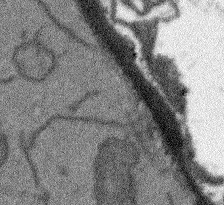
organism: Arabidopsis thaliana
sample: Root tip